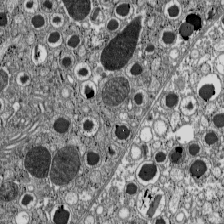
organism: C57BL Mouse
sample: Pancreatic islet